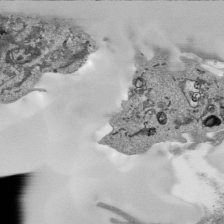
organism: Human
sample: Mitochondria in HCT116 cells